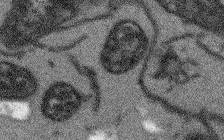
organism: Arabidopsis thaliana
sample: Root tip